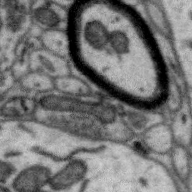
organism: Zebra finch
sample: Brain